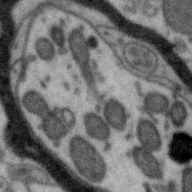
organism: Zebra finch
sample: Brain